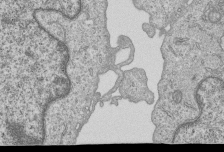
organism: Human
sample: MDA-MB-231 cells